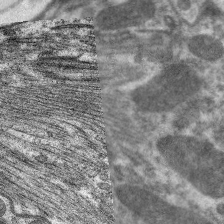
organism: C. elegans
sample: Pharynx